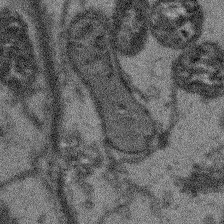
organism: Arabidopsis thaliana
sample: Root tip